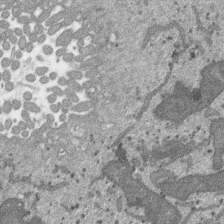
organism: Human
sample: Lung epithelial cells infected with SARS-CoV-2